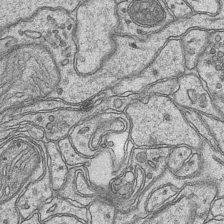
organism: Mouse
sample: CA1 Hippocampus